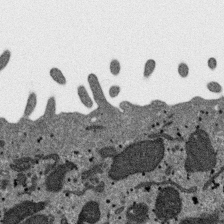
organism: Human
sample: Lung epithelial cells, uninfected (mock) control